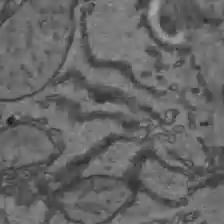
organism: C57BL Mouse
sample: Liver